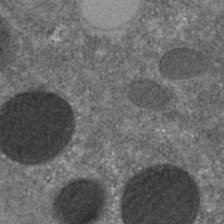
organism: C. elegans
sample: C. elegans embryo